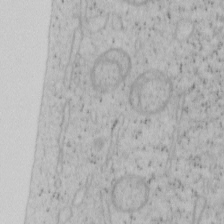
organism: Human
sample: HeLa cells